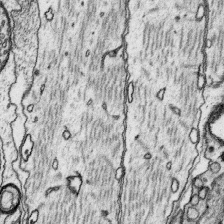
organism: Platynereis dumerilii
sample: Parapodia